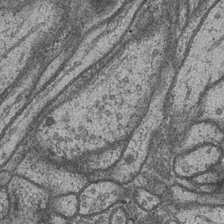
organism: Drosophila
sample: Optic medulla